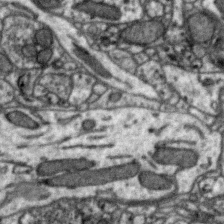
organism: Zebra finch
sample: Brain